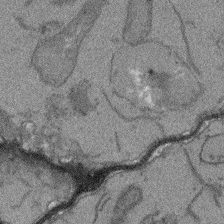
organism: Arabidopsis thaliana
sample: Root tip